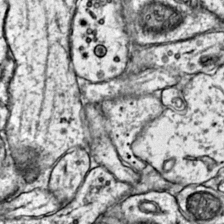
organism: Mouse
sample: Primary visual cortex